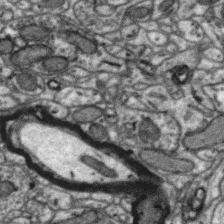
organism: Zebra finch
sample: Brain